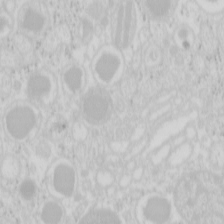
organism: Mouse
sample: Pancreas